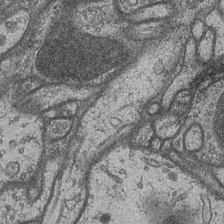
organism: Drosophila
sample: Optic medulla